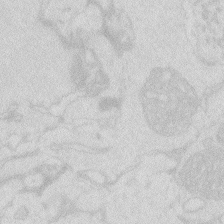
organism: Zebrafish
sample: Macrophage